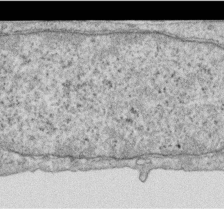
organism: Human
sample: Centriole in RPE cells